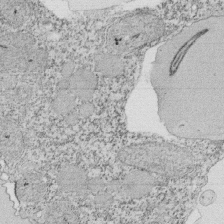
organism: Tetrahymena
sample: Cilia in tetrahymena